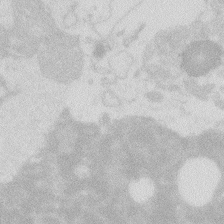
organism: Zebrafish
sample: Macrophage